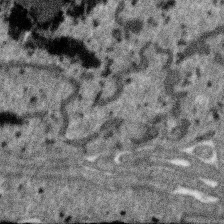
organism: Human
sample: Lung epithelial cells infected with SARS-CoV-2